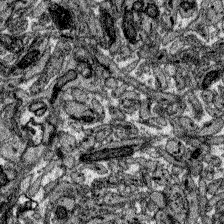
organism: Zebrafish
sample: Larval olfactory bulb